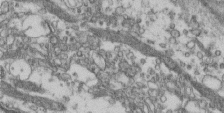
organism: Human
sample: Centriole in fibroblast cells